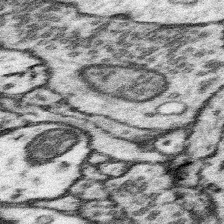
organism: Mouse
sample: Somatosensory cortex neuropil